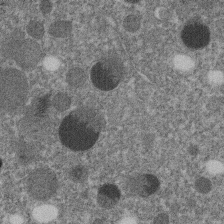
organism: C. elegans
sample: C. elegans embryo early stage